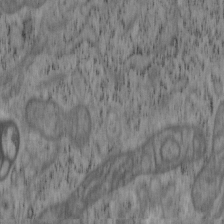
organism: Human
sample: HeLa cells